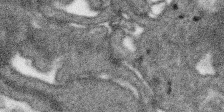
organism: Human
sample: Lung epithelial cells infected with SARS-CoV-2